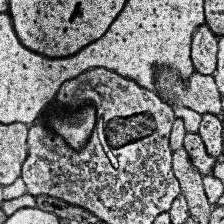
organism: Human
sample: Temporal Lobe